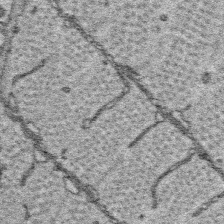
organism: Platynereis dumerilii